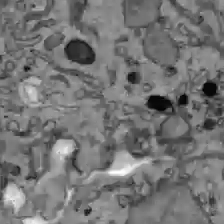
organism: C57BL Mouse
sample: Liver